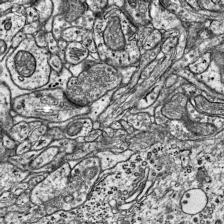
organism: Mouse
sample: Visual Cortex